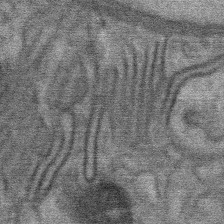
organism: Mouse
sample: Mouse Salivary gland